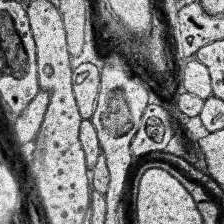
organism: Human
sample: Temporal Lobe